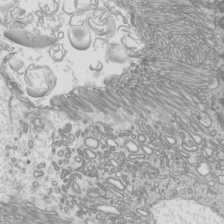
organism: Mouse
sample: Cilia; mouse epididymis